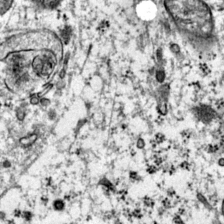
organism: Mouse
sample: Primary visual cortex